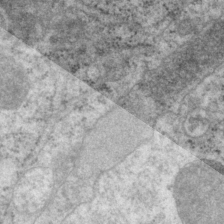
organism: P. pacificus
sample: Pharynx